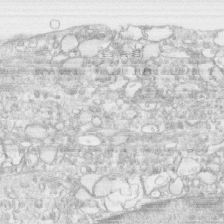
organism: Human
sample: CRL-1474